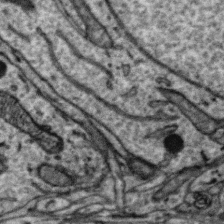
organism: Zebra finch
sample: Brain